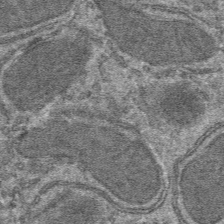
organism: Mouse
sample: Mouse hepatocytes